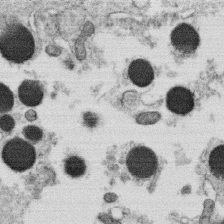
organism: C. elegans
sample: C. elegans oocyte; sperm cells